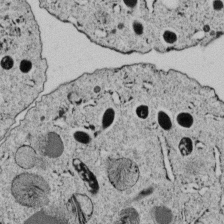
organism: C. elegans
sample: C. elegans embryo early stage